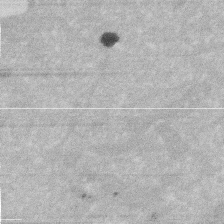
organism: Human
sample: HIV infected U937 cells